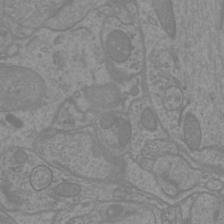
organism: Mouse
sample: Cortical neurons